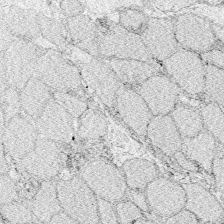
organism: Zebrafish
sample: Whole-Brain